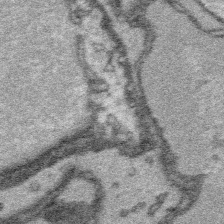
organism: Platynereis dumerilii